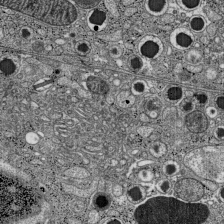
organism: C57BL Mouse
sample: Pancreatic islet